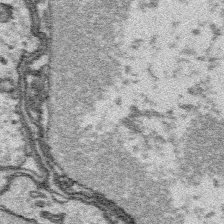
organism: Platynereis dumerilii